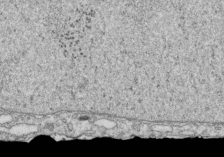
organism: Human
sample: HeLa cell HIV synapse